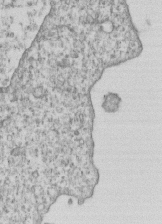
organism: Human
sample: MDA-MB-231 cells